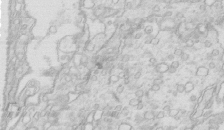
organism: Mouse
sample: Multiciliated cells